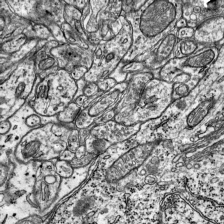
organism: Mouse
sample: Visual Cortex